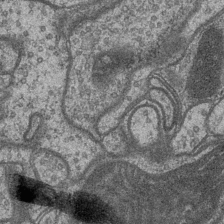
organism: Drosophila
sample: Optic medulla